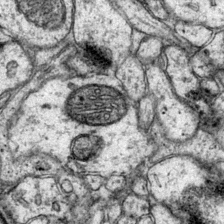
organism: Mouse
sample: Primary visual cortex